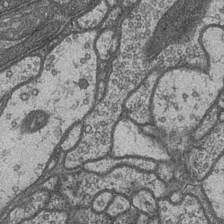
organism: Drosophila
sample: Optic medulla